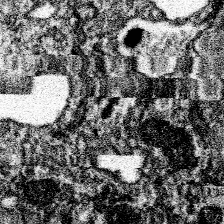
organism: Spongilla lacustris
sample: Neuroid cell